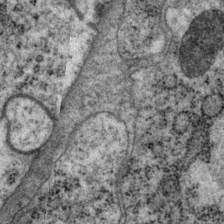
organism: P. pacificus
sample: Pharynx